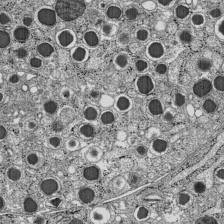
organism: C57BL Mouse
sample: Pancreatic islet